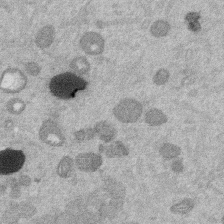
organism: Mouse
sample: Dividing mouse embryo 1 cell stage